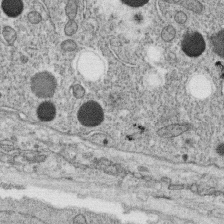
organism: C. elegans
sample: C. elegans oocyte; sperm cells